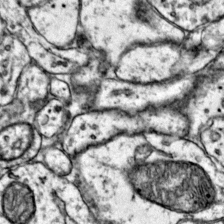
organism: Mouse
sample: Primary visual cortex